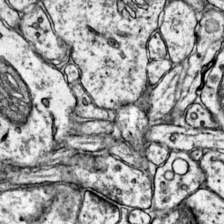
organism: Mouse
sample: Primary visual cortex